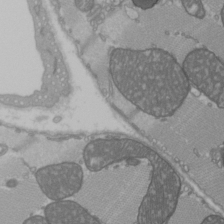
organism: C57BL Mouse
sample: Heart